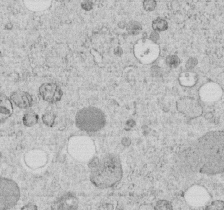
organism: C. elegans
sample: C. elegans embryo early stage